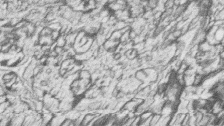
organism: Zebrafish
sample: synaptic ribbons in rod cells and cone cells